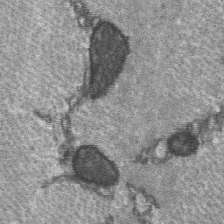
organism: C57BL Mouse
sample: Soleus